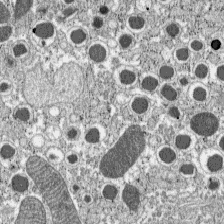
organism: C57BL Mouse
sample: Pancreatic islet